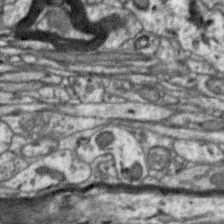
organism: Zebra finch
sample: Brain